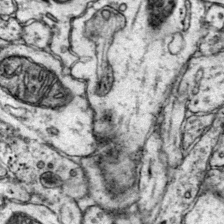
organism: Mouse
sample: Primary visual cortex